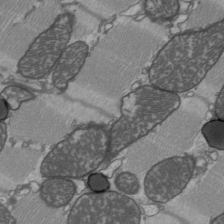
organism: C57BL Mouse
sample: Heart